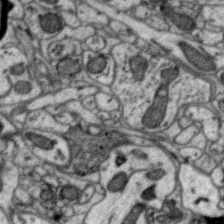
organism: Zebra finch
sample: Brain